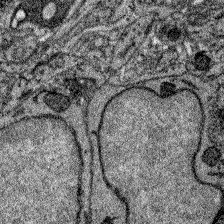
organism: Zebrafish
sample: Larval olfactory bulb